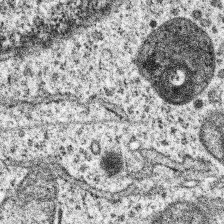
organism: Human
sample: HeLa cells